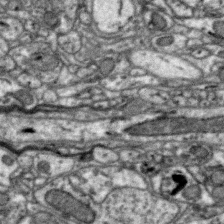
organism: Zebra finch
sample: Brain